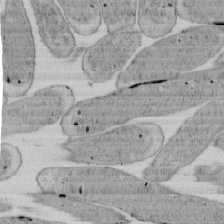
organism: E. coli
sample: Bacterial nucleoid